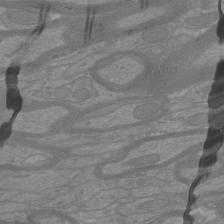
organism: Mouse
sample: Cortical neurons